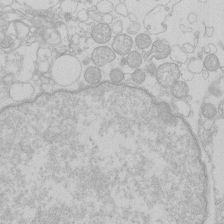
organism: Human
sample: Macrophage cells